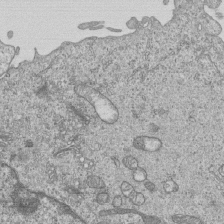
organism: Human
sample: MDA-MB-231 cells